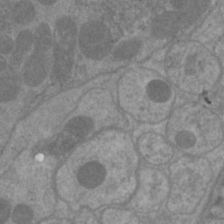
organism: C. elegans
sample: Pharynx